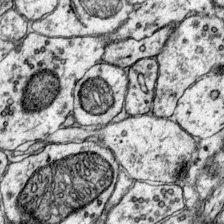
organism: Mouse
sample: Primary visual cortex